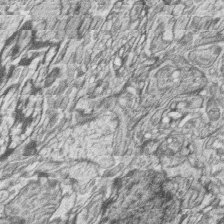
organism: Zebrafish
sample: synaptic ribbons in rod cells and cone cells